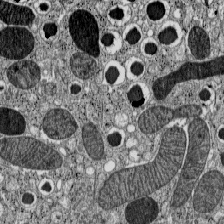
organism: C57BL Mouse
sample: Pancreatic islet